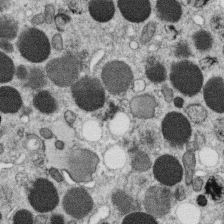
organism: C. elegans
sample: C. elegans oocyte; sperm cells